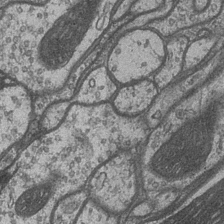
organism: Drosophila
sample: Optic medulla